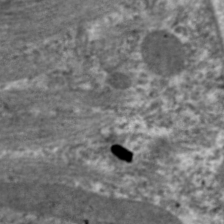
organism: C. elegans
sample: Pharynx